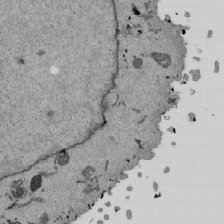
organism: Mouse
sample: ED-1 cell nuclei; centrioles